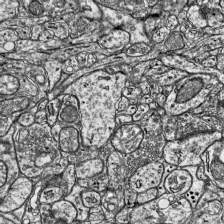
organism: Mouse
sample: Visual Cortex